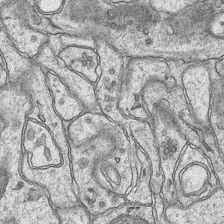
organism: Mouse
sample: CA1 Hippocampus